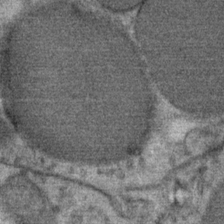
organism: Mouse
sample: Mouse Salivary gland